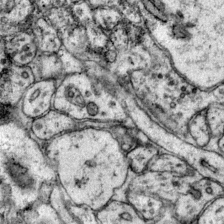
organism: Mouse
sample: Primary visual cortex